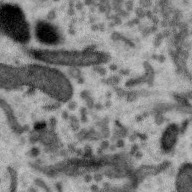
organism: Zebra finch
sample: Brain